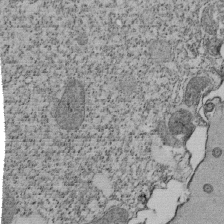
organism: Tetrahymena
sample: Cilia in tetrahymena